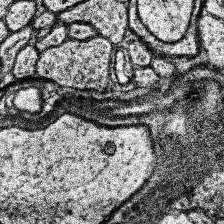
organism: Human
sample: Temporal Lobe